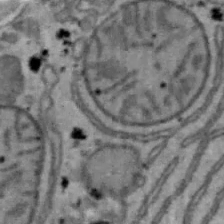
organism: Mouse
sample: Liver